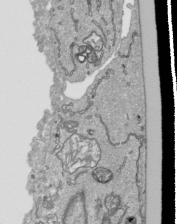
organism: Human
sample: Mitochondria in HCT116 cells